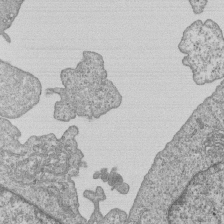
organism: Human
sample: MDA-MB-231 cells